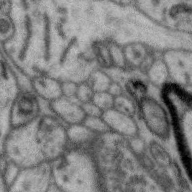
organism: Zebra finch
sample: Brain